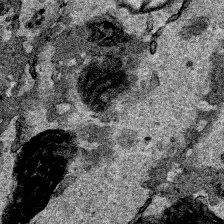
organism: Human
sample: Mitochondria in HCT116 cells